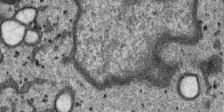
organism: Human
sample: Lung epithelial cells infected with SARS-CoV-2